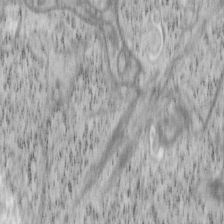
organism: Human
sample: HeLa cells